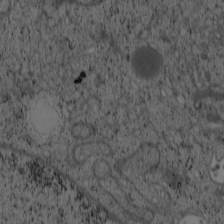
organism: African green monkey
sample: COS-7 cells